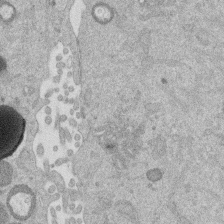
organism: Mouse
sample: Dividing mouse embryo 1 cell stage